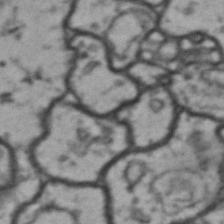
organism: Drosophila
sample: Brain